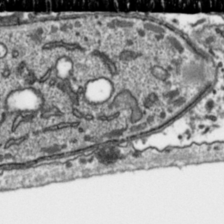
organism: Toxoplasma gondii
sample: Parasites in a vacuole inside a host cell